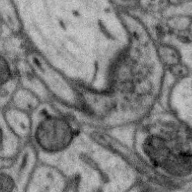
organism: Zebra finch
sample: Brain